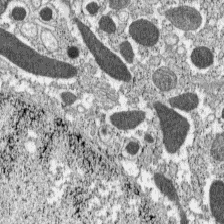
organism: C57BL Mouse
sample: Pancreatic islet